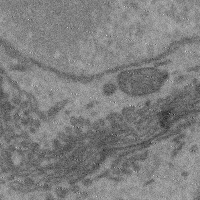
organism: Mouse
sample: Cerebral cortex